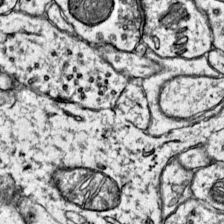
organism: Mouse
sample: Primary visual cortex